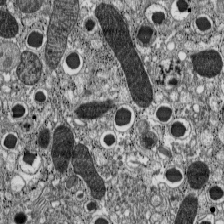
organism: C57BL Mouse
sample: Pancreatic islet